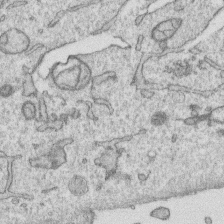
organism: Human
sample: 1205lu cells